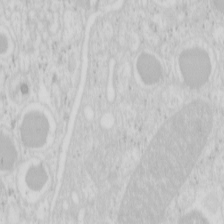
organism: Mouse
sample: Pancreas